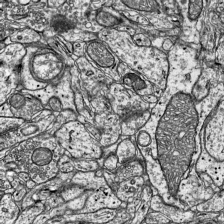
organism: Mouse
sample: Visual Cortex